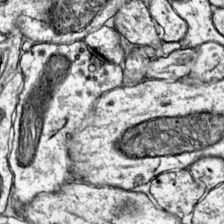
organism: Mouse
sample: Primary visual cortex